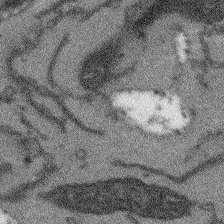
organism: Arabidopsis thaliana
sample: Root tip